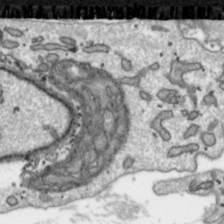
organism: Toxoplasma gondii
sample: Parasites in a vacuole inside a host cell